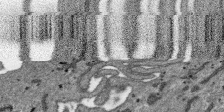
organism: Human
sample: Lung epithelial cells, uninfected (mock) control